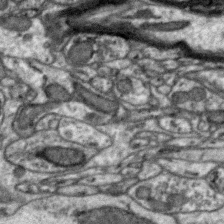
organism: Zebra finch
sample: Brain